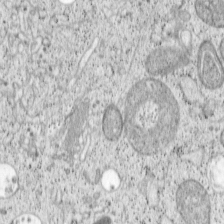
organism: African green monkey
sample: COS-7 cells